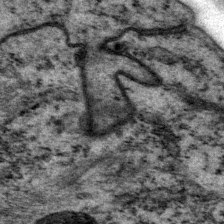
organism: P. pacificus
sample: Pharynx